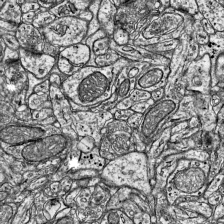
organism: Mouse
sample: Visual Cortex